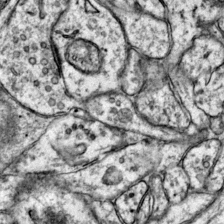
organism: Mouse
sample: Primary visual cortex